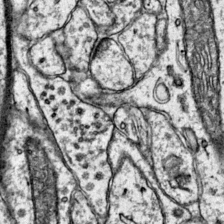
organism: Mouse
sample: Primary visual cortex